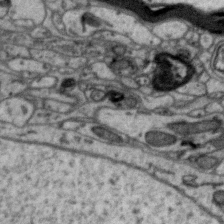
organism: Zebra finch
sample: Brain